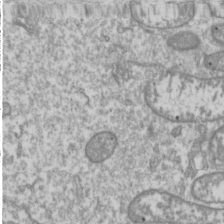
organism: Drosophila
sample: Cell division; meiosis; drosophila spermatocytes